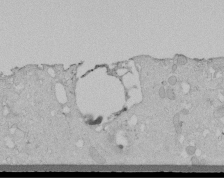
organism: Human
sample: Melanocyte Keratinocyte synapse skin construct